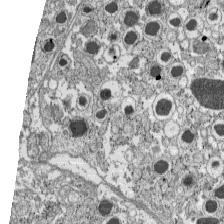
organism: C57BL Mouse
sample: Pancreatic islet